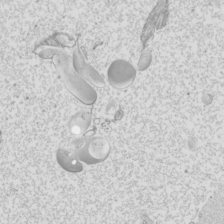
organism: Mouse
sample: Cilia; mouse epididymis